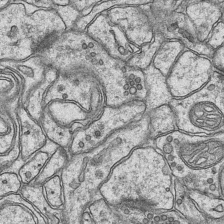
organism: Mouse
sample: CA1 Hippocampus